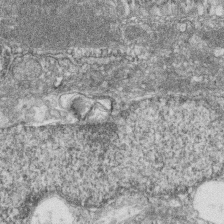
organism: Zebrafish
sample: Cilia; retinal pigment epithelium